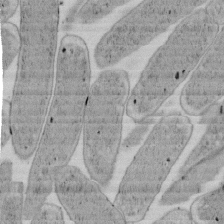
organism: E. coli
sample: Bacterial nucleoid